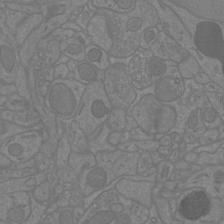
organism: Mouse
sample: Cortical neurons